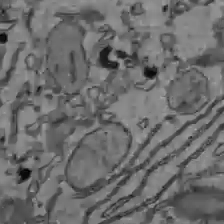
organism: C57BL Mouse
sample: Liver